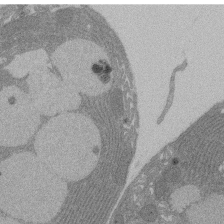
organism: Rat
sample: Salivary granule